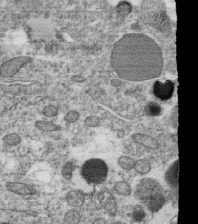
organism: C. elegans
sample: C. elegans oocyte; sperm cells